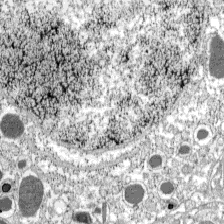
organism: C57BL Mouse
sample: Pancreatic islet